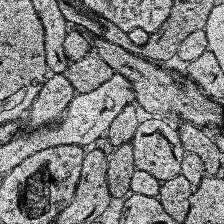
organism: Human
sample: Temporal Lobe